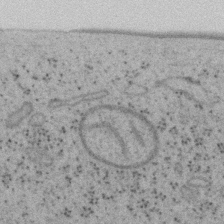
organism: Human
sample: HeLa cells